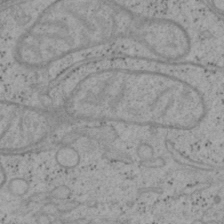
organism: Human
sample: HeLa cells